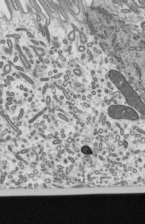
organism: Mouse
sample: Mouse epididymis efferent ductule cilia